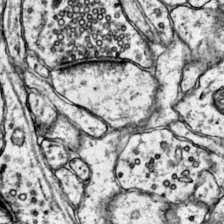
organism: Mouse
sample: Primary visual cortex